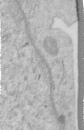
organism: Human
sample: Centriole in RPE cells